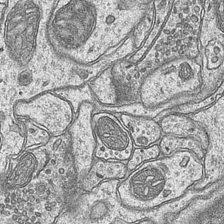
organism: Mouse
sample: CA1 Hippocampus